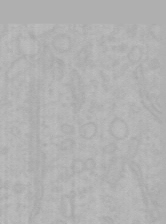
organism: Mouse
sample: Choroid plexus